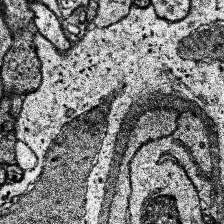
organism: Human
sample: Temporal Lobe